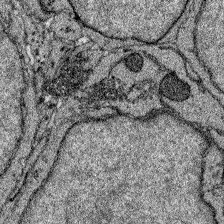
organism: Zebrafish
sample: Larval olfactory bulb